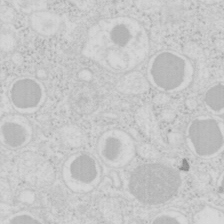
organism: Mouse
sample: Pancreas